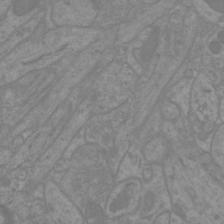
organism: Mouse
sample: Cortical neurons